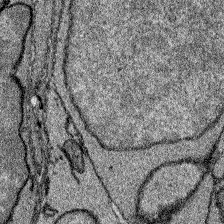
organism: Zebrafish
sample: Larval olfactory bulb